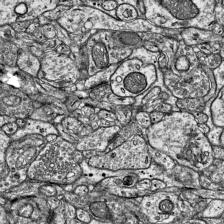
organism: Mouse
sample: Visual Cortex